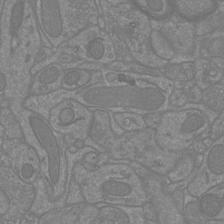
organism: Mouse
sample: Cortical neurons